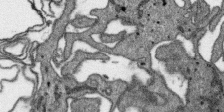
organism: Human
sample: Lung epithelial cells, uninfected (mock) control